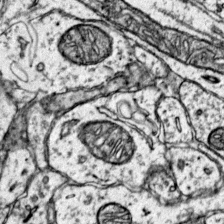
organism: Mouse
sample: Primary visual cortex